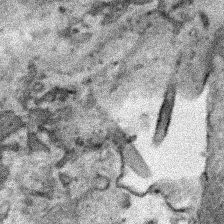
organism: Human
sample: Mitochondria in HCT116 cells